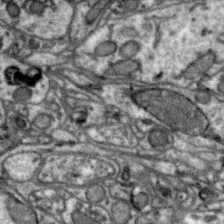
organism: Zebra finch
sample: Brain